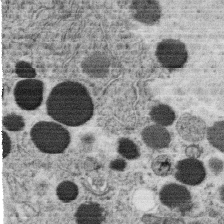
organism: C. elegans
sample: C. elegans oocyte; sperm cells